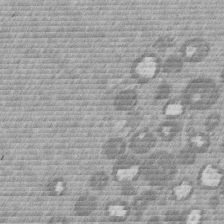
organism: Mouse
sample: Dividing mouse embryo 1 cell stage